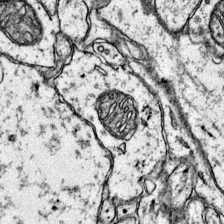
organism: Mouse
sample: Primary visual cortex